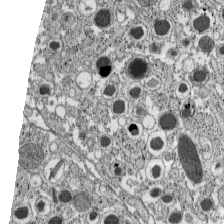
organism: C57BL Mouse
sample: Pancreatic islet